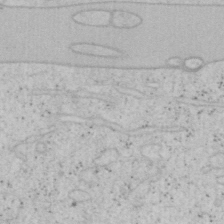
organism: Human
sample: HeLa cells